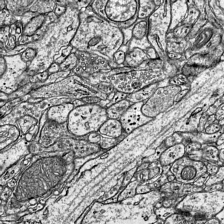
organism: Mouse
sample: Visual Cortex